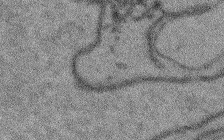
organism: Arabidopsis thaliana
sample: Root tip